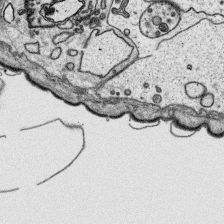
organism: Platynereis dumerilii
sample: Parapodia